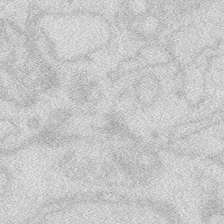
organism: Zebrafish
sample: Macrophage